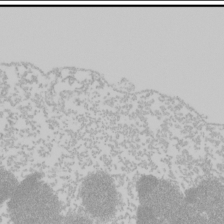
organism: Mouse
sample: Cancer cell death in ED-1 cells